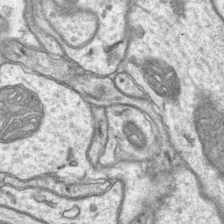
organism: Mouse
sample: CA1 Hippocampus